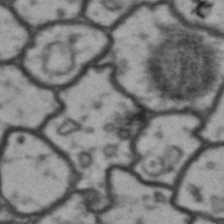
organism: Drosophila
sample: Brain